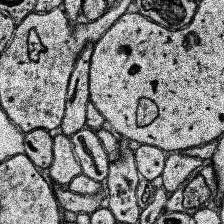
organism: Human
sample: Temporal Lobe